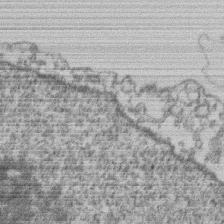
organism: Mouse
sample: T cell stromal cell synapse